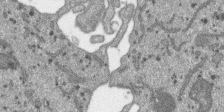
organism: Human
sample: Lung epithelial cells infected with SARS-CoV-2